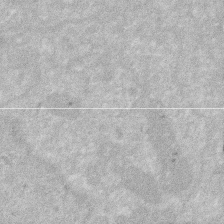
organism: Human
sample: HIV infected U937 cells